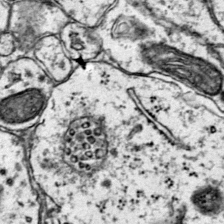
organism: Mouse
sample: Primary visual cortex